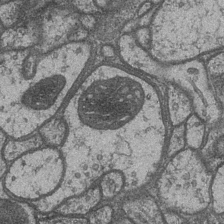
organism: Drosophila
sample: Optic medulla